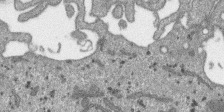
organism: Human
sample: Lung epithelial cells infected with SARS-CoV-2